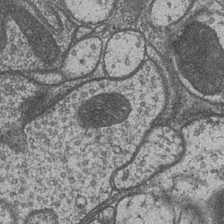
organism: Drosophila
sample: Optic medulla